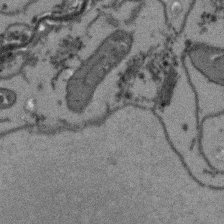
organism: Arabidopsis thaliana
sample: Root tip